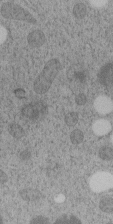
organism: C. elegans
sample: C. elegans embryo early stage